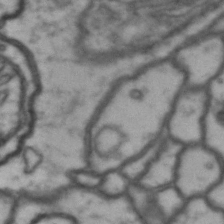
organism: Drosophila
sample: Brain